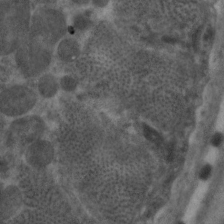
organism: C. elegans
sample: Pharynx